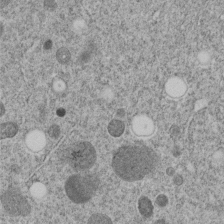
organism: C. elegans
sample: C. elegans embryo early stage